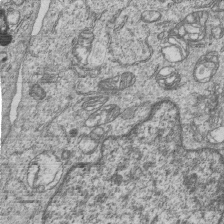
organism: Human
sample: MDA-MB-231 cells